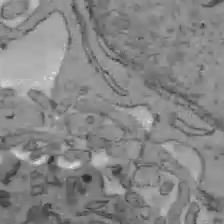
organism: C57BL Mouse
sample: Liver